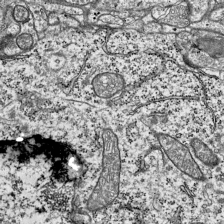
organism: Mouse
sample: Visual Cortex